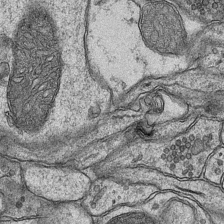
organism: Mouse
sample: CA1 Hippocampus